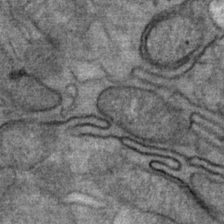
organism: Mouse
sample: Mouse Salivary gland